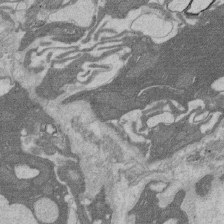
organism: Rat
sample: Salivary granule